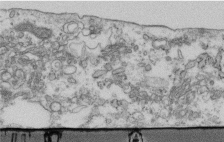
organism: Human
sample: Centriole in fibroblast cells